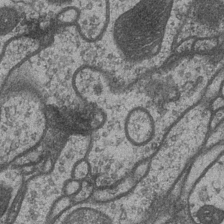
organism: Drosophila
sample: Optic medulla